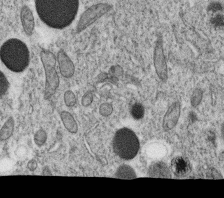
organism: C. elegans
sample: C. elegans oocyte; sperm cells